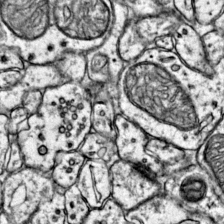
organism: Mouse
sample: Primary visual cortex